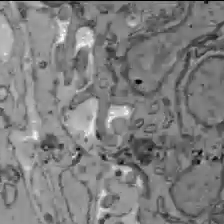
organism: C57BL Mouse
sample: Liver